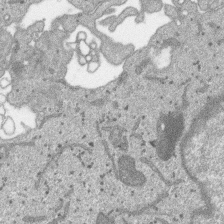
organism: Human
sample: Lung epithelial cells infected with SARS-CoV-2